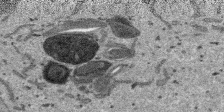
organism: Human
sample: Lung epithelial cells infected with SARS-CoV-2